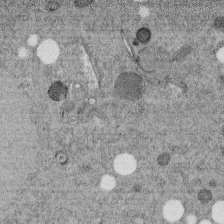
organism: C. elegans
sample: C. elegans embryo early stage